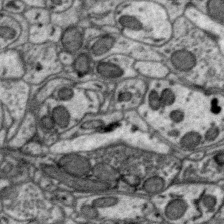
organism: Zebra finch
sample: Brain